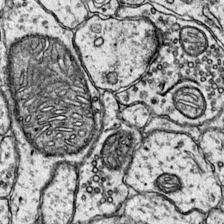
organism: Mouse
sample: Primary visual cortex